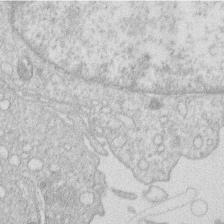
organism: Human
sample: Macrophage cells